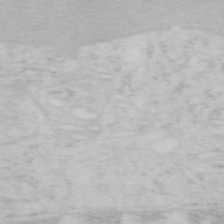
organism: Mouse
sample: OT-I killer T cells with ID8 ovarian cancer cells